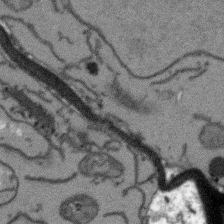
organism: Arabidopsis thaliana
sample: Root tip